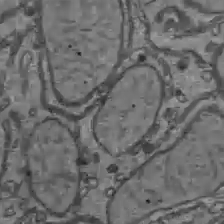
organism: C57BL Mouse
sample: Liver